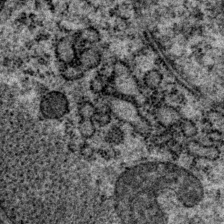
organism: P. pacificus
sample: Pharynx